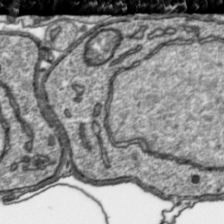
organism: Toxoplasma gondii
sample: Parasites in a vacuole inside a host cell